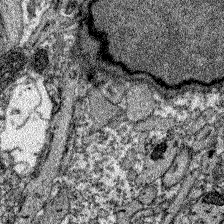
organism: Zebrafish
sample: Larval olfactory bulb